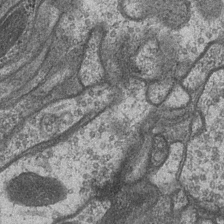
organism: Drosophila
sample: Optic medulla